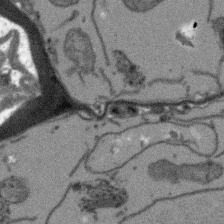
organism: Arabidopsis thaliana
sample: Root tip